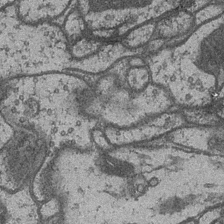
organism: Drosophila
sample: Optic medulla